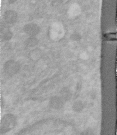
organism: Human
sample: Centriole in RPE cells